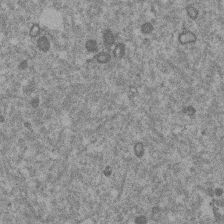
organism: Mouse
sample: Dividing mouse embryo 1 cell stage